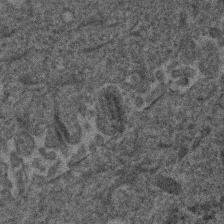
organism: Human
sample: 1205lu cells